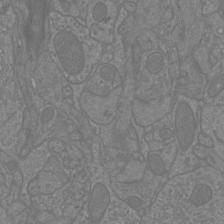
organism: Mouse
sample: Cortical neurons